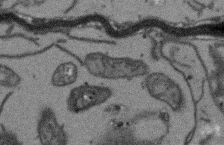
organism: Arabidopsis thaliana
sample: Root tip